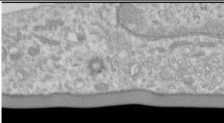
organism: Human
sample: Cilia; basal body in RPE cells